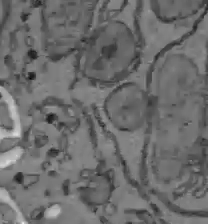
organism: C57BL Mouse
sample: Liver